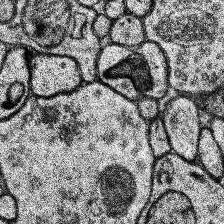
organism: Human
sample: Temporal Lobe